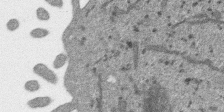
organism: Human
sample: Lung epithelial cells infected with SARS-CoV-2